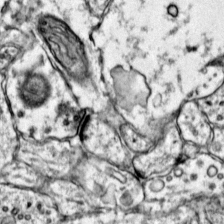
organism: Mouse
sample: Primary visual cortex